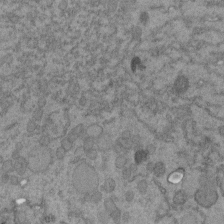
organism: C. elegans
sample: C. elegans embryo early stage